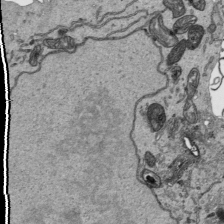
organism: Human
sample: Mitochondria in HCT116 cells